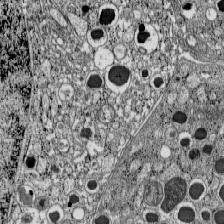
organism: C57BL Mouse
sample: Pancreatic islet